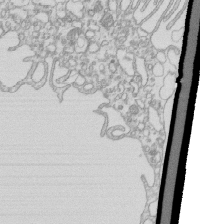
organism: Mouse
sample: Macrophages